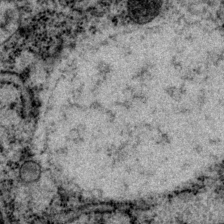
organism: P. pacificus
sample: Pharynx